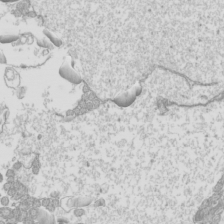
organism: Mouse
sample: Cilia; mouse epididymis